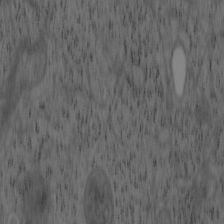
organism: Human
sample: HeLa cells